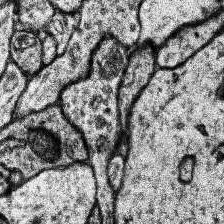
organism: Human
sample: Temporal Lobe